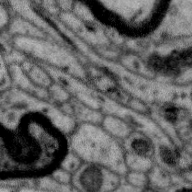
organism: Zebra finch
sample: Brain